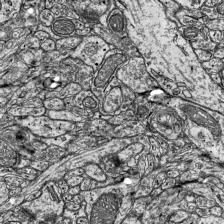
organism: Mouse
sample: Visual Cortex